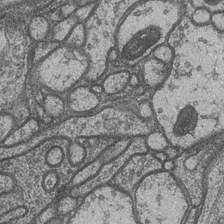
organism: Drosophila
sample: Optic medulla